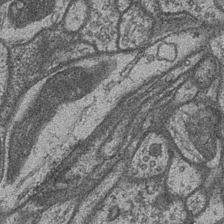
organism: Drosophila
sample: Optic medulla